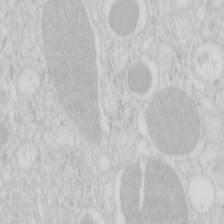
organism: Mouse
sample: Pancreas